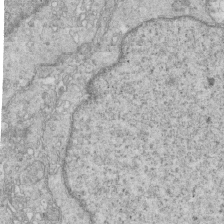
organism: Mouse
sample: Multiciliated cells